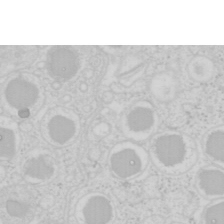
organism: Mouse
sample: Pancreas